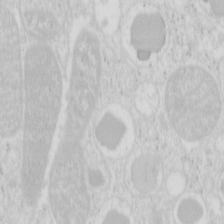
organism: Mouse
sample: Pancreas